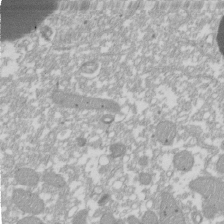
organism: Xenopus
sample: Cilia; centrioles in frog embryo cells